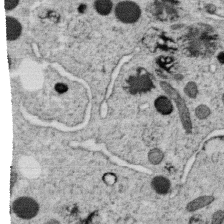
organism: C. elegans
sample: C. elegans oocyte; sperm cells